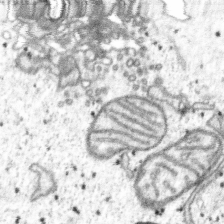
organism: Human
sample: HeLa cells